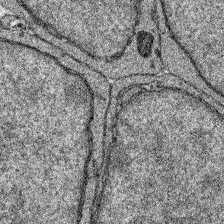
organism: Zebrafish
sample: Larval olfactory bulb